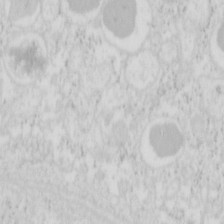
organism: Mouse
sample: Pancreas